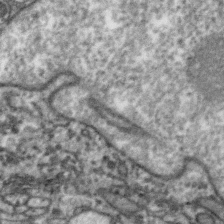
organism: Zebra finch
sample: Brain